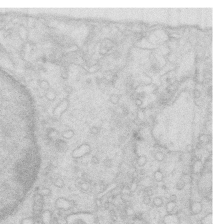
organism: Mouse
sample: Multiciliated cells